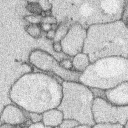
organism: Rabbit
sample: Retina